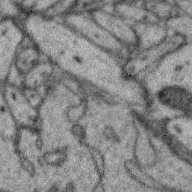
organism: Zebra finch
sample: Brain